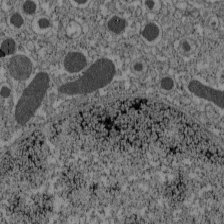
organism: C57BL Mouse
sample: Pancreatic islet